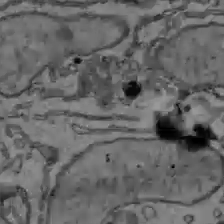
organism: C57BL Mouse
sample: Liver